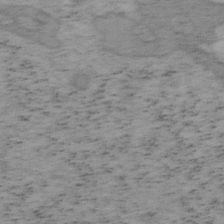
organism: Mouse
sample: OT-I killer T cells with ID8 ovarian cancer cells